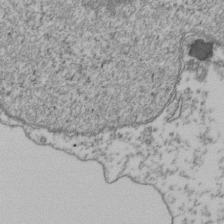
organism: Human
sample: Activated Jurkat CD4+ T cells